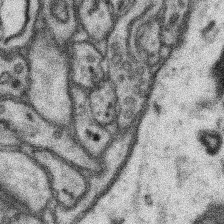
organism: Mouse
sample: Somatosensory cortex neuropil